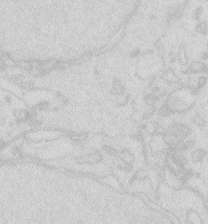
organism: Zebrafish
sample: Macrophage